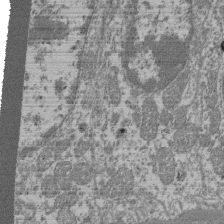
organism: Mouse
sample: Glomerulus